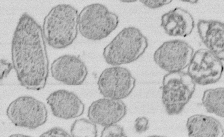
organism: E. coli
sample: Bacterial nucleoid